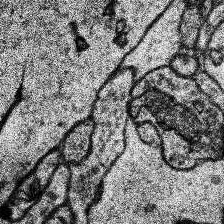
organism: Human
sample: Temporal Lobe